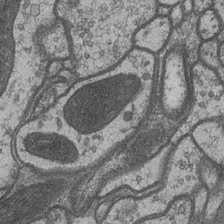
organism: Drosophila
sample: Optic medulla